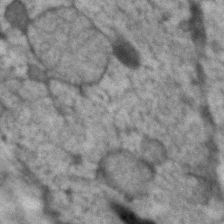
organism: Human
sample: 1205lu cells